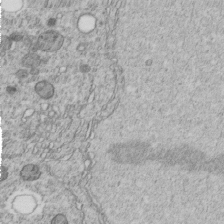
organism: C. elegans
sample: C. elegans embryo early stage